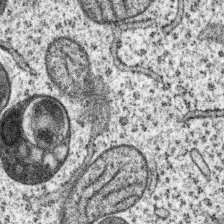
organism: Human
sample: HeLa cells